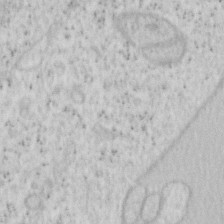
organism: Human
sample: HeLa cells